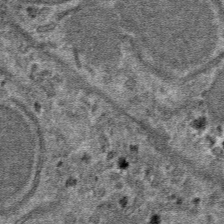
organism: Mouse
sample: Mouse hepatocytes